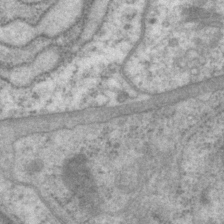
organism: P. pacificus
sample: Pharynx